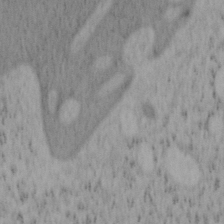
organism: Mouse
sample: OT-I killer T cells with ID8 ovarian cancer cells